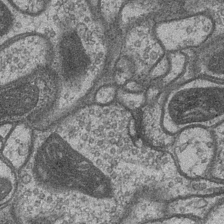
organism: Drosophila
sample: Optic medulla